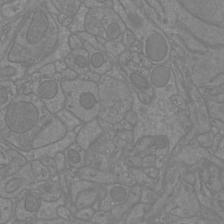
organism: Mouse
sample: Cortical neurons